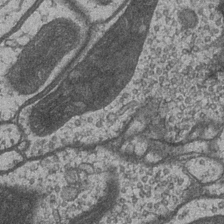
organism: Drosophila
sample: Optic medulla